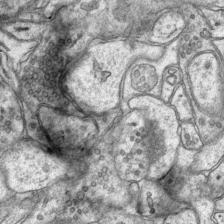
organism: Mouse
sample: CA1 Hippocampus